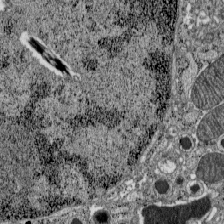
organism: C57BL Mouse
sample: Pancreatic islet